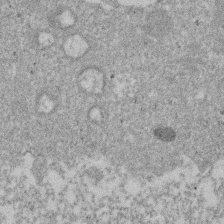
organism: Mouse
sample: Dividing mouse embryo 1 cell stage